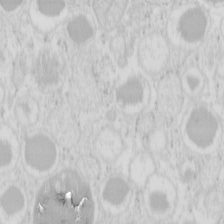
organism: Mouse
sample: Pancreas